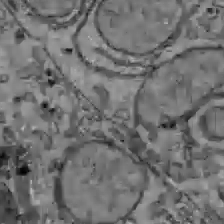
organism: C57BL Mouse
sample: Liver